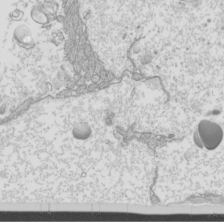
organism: Mouse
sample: Cilia; mouse epididymis